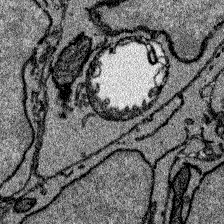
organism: Zebrafish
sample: Larval olfactory bulb